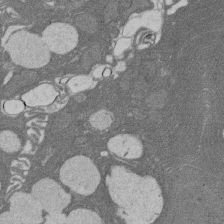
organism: Rat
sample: Salivary granule